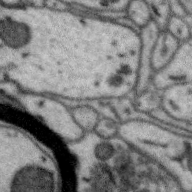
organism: Zebra finch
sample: Brain